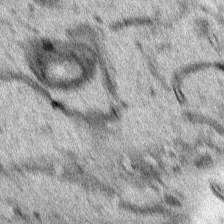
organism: Human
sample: Mitochondria in HCT116 cells